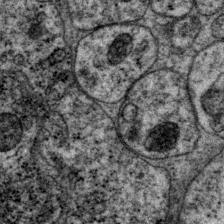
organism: P. pacificus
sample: Pharynx